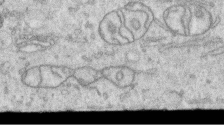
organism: Human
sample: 1205lu cells